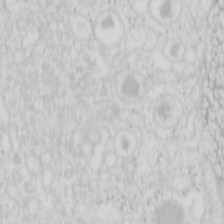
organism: Mouse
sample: Pancreas